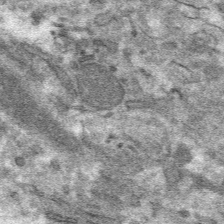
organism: Mouse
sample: Mouse hepatocytes